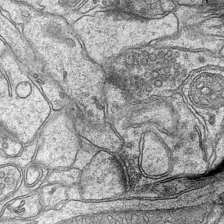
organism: Mouse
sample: CA1 Hippocampus